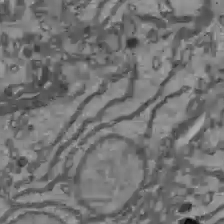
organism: C57BL Mouse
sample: Liver